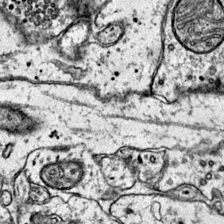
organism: Mouse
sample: Primary visual cortex